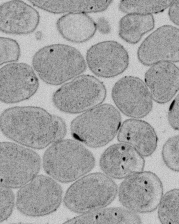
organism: E. coli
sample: Bacterial nucleoid